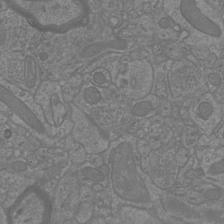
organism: Mouse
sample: Cortical neurons